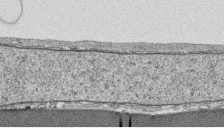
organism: Human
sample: CRL-1474